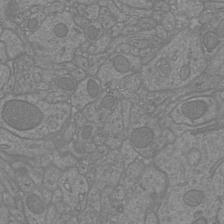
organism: Mouse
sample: Cortical neurons